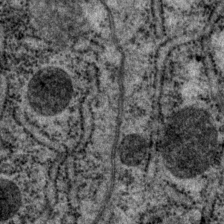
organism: P. pacificus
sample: Pharynx